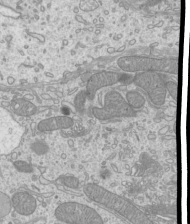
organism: Mouse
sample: Cilia; mouse epididymis